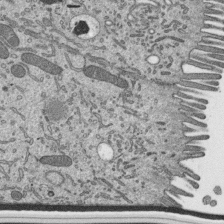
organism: Mouse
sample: Mouse epididymis efferent ductule cilia